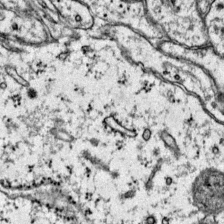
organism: Mouse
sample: Primary visual cortex